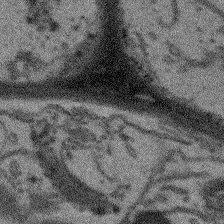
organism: Arabidopsis thaliana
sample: Root tip